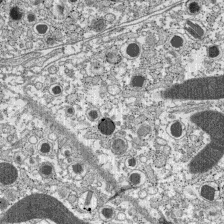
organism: C57BL Mouse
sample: Pancreatic islet